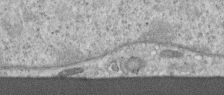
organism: Human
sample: Centriole in RPE cells